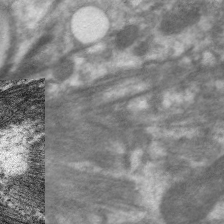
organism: C. elegans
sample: Pharynx